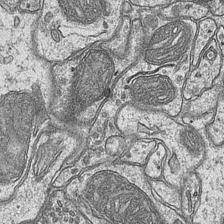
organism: Mouse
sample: CA1 Hippocampus